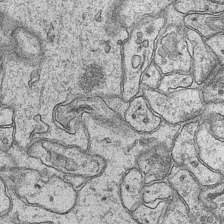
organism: Mouse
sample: CA1 Hippocampus